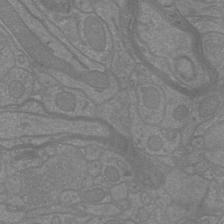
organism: Mouse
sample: Cortical neurons